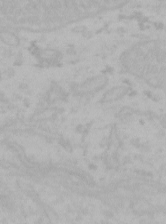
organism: Mouse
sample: Choroid plexus